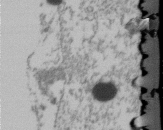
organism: Human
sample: U2-OS cells